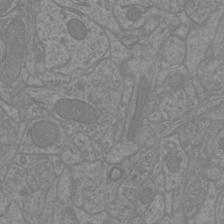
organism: Mouse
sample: Cortical neurons